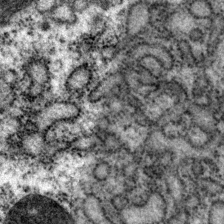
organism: P. pacificus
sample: Pharynx